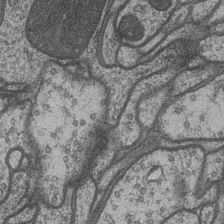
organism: Drosophila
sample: Optic medulla